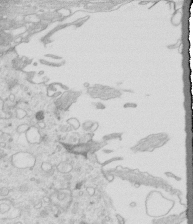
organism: Mouse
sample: Multiciliated cells